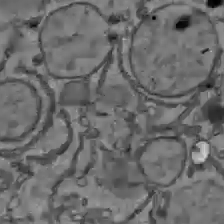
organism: C57BL Mouse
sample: Liver